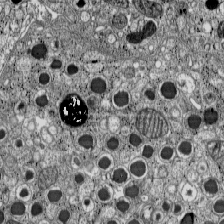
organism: C57BL Mouse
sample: Pancreatic islet